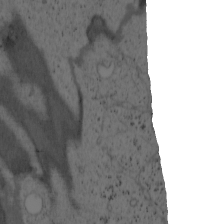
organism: African green monkey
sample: COS-7 cells